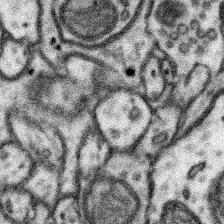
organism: Mouse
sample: Somatosensory cortex neuropil